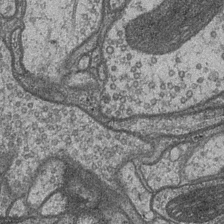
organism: Drosophila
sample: Optic medulla